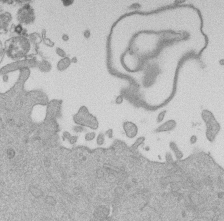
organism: Mouse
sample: Dividing mouse embryo 1 cell stage